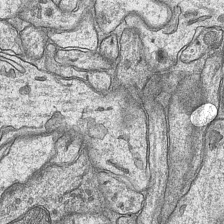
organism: Mouse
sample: CA1 Hippocampus